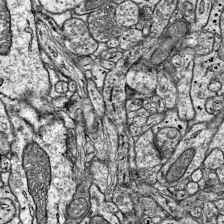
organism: Mouse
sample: Visual Cortex